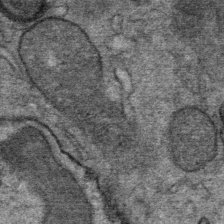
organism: Mouse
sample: Mouse Salivary gland